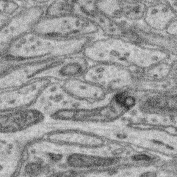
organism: Mouse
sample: Retina